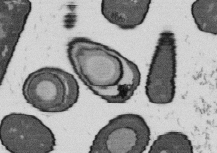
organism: B. subtilis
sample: Bacterial spore